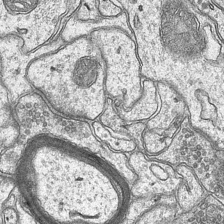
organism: Mouse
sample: CA1 Hippocampus